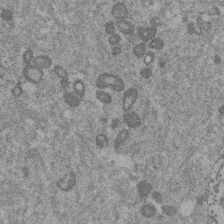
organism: Mouse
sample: Dividing mouse embryo 1 cell stage